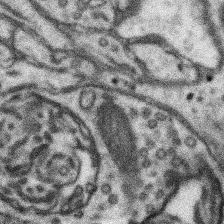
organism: Mouse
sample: Somatosensory cortex neuropil